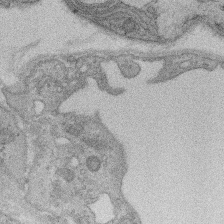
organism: Rat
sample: Salivary granule